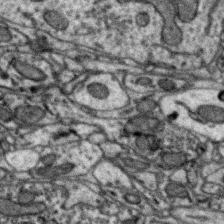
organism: Zebra finch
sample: Brain